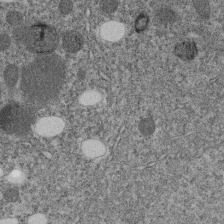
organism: C. elegans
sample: C. elegans embryo early stage